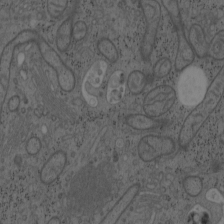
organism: Mouse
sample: OT-I killer T cells with ID8 ovarian cancer cells